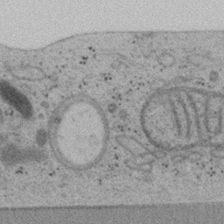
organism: Human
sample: HeLa cells